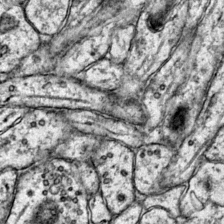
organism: Mouse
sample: Primary visual cortex